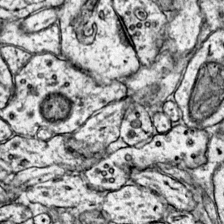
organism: Mouse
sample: Primary visual cortex